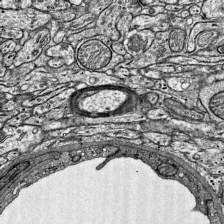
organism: Mouse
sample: Visual Cortex